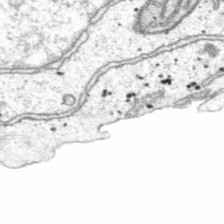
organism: Human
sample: HeLa cells